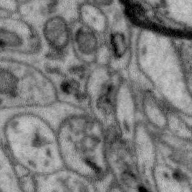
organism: Zebra finch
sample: Brain